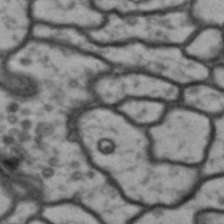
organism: Drosophila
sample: Brain